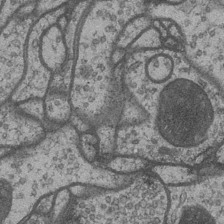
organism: Drosophila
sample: Optic medulla